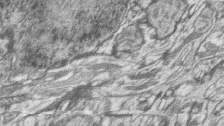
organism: Zebrafish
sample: synaptic ribbons in rod cells and cone cells